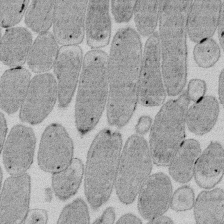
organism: E. coli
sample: Bacterial nucleoid